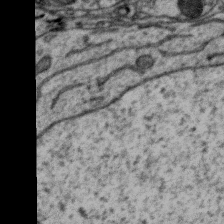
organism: Zebra finch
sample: Brain